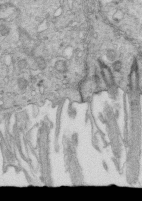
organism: Mouse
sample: Multiciliated cells